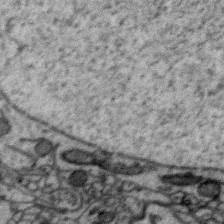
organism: Zebra finch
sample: Brain